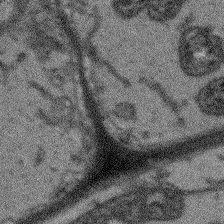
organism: Arabidopsis thaliana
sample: Root tip